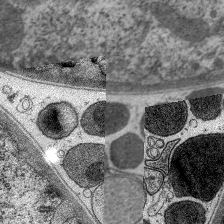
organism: C. elegans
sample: Pharynx